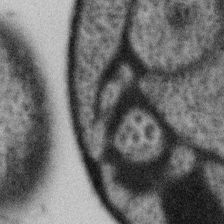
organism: Gemmata obscuriglobus